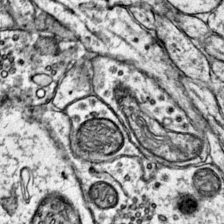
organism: Mouse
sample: Primary visual cortex